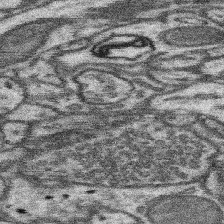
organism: Mouse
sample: Somatosensory cortex neuropil